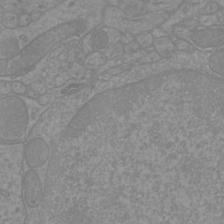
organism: Mouse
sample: Cortical neurons